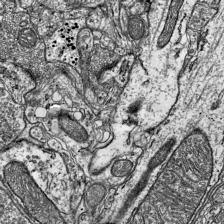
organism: Mouse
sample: Visual Cortex